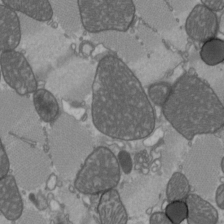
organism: C57BL Mouse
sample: Heart